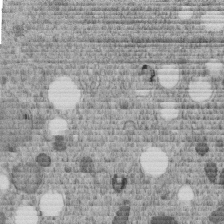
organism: C. elegans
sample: C. elegans embryo early stage